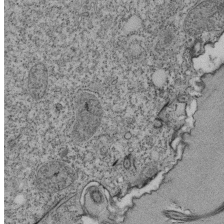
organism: Tetrahymena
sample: Cilia in tetrahymena